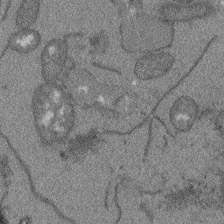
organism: Arabidopsis thaliana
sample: Root tip